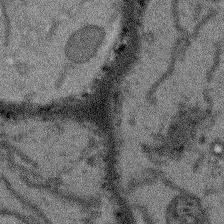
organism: Arabidopsis thaliana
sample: Root tip